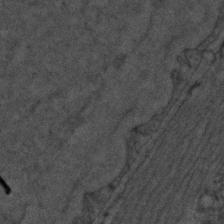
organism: C. elegans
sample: C. elegans embryo